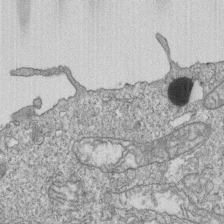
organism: Human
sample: HeLa cell HIV synapse